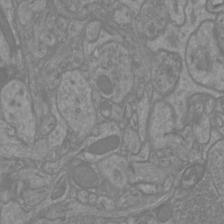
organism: Mouse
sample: Cortical neurons